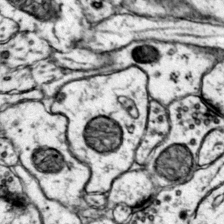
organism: Mouse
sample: Primary visual cortex